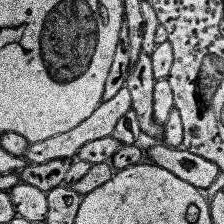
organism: Human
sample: Temporal Lobe